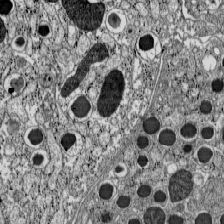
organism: C57BL Mouse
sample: Pancreatic islet